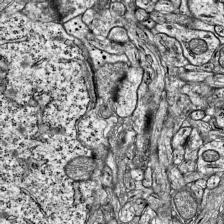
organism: Mouse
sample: Visual Cortex